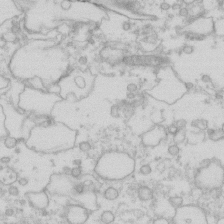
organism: Human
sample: Fibroblast cells